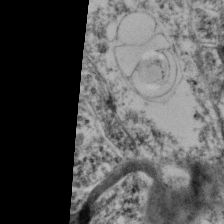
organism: Mouse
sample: Neocortex